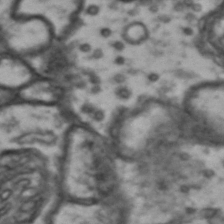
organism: Drosophila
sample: Brain